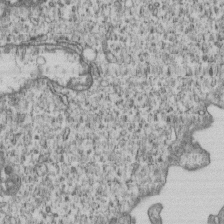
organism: Human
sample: MDA-MB-231 cells